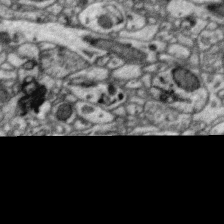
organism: Zebra finch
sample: Brain